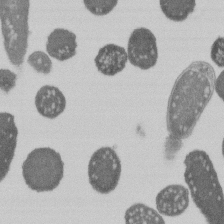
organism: E. coli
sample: Bacterial nucleoid